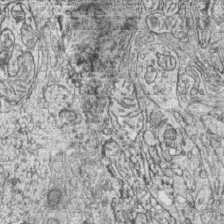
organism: Zebrafish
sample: synaptic ribbons in rod cells and cone cells